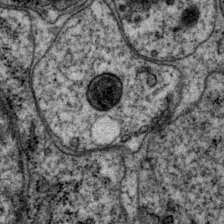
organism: P. pacificus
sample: Pharynx